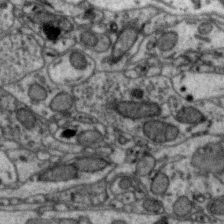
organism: Zebra finch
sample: Brain